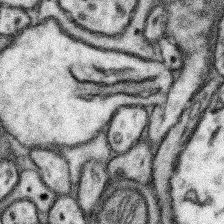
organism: Mouse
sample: Somatosensory cortex neuropil